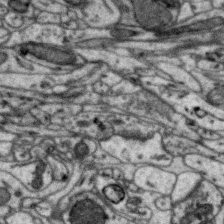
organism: Zebra finch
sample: Brain